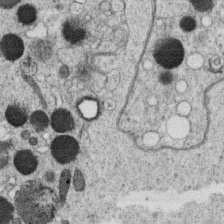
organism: C. elegans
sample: C. elegans oocyte; sperm cells